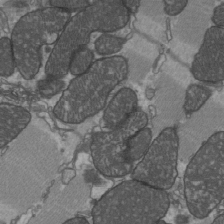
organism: C57BL Mouse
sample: Heart